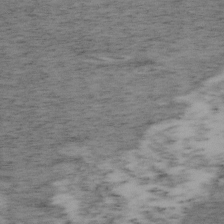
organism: Mouse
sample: OT-I killer T cells with ID8 ovarian cancer cells